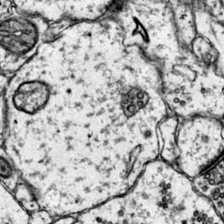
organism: Mouse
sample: Primary visual cortex